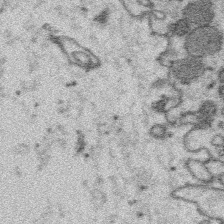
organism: Platynereis dumerilii